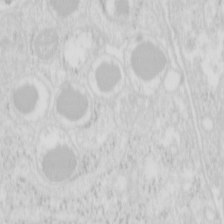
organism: Mouse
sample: Pancreas